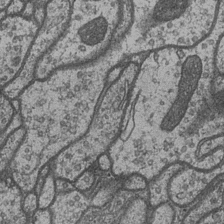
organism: Drosophila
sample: Optic medulla